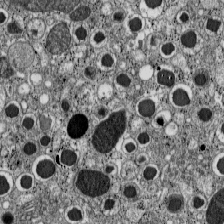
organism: C57BL Mouse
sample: Pancreatic islet